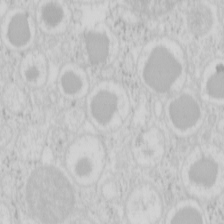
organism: Mouse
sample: Pancreas